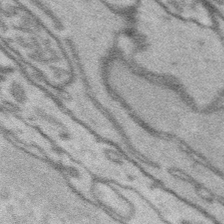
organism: Platynereis dumerilii